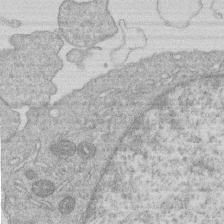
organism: Human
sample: Macrophage cells